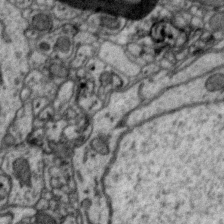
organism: Zebra finch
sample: Brain